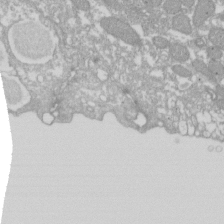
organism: Xenopus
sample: Cilia; centrioles in frog embryo cells